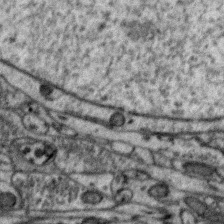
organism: Zebra finch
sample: Brain